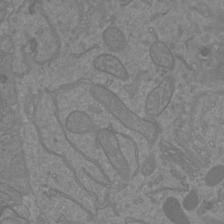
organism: Mouse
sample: Cortical neurons